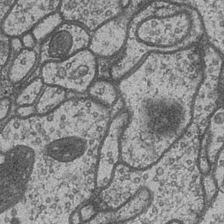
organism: Drosophila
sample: Optic medulla